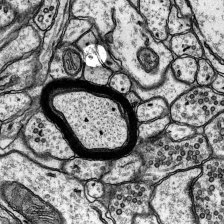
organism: Rat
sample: Hippocampus